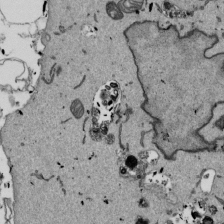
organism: Mouse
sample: ED-1 cell nuclei; centrioles